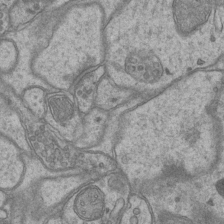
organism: Mouse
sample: CA1 Hippocampus